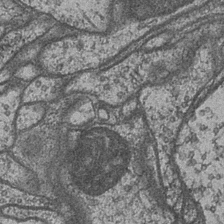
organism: Drosophila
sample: Optic medulla